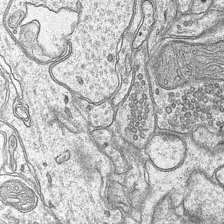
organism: Mouse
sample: CA1 Hippocampus